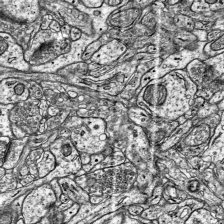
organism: Mouse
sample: Visual Cortex